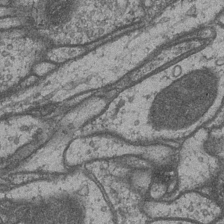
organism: Drosophila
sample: Optic medulla